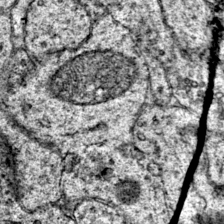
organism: Mouse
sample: Primary visual cortex